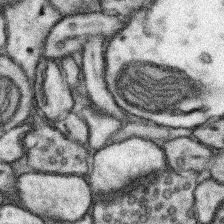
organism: Mouse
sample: Somatosensory cortex neuropil